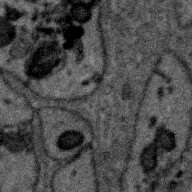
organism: Zebra finch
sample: Brain